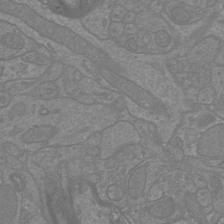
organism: Mouse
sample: Cortical neurons